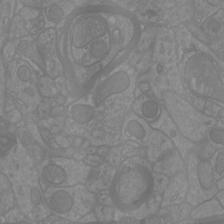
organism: Mouse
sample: Cortical neurons